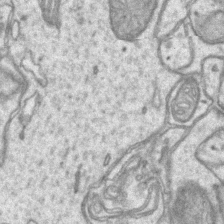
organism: Mouse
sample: CA1 Hippocampus